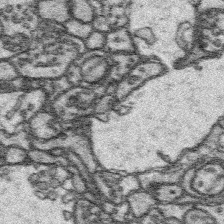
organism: Platynereis dumerilii